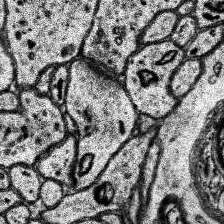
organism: Human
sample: Temporal Lobe